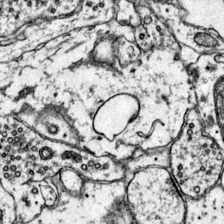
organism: Mouse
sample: Primary visual cortex